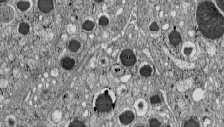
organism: C57BL Mouse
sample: Pancreatic islet